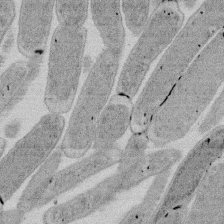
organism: E. coli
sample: Bacterial nucleoid